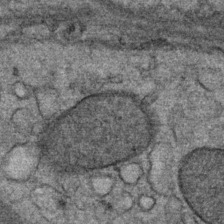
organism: Mouse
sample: Mouse Salivary gland